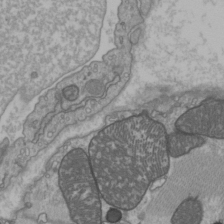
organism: C57BL Mouse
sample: Heart